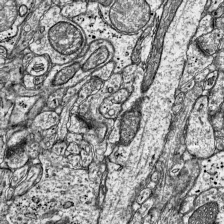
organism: Mouse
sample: Visual Cortex